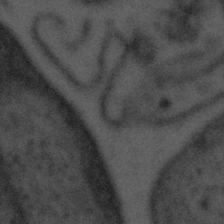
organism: Tuwongella immobilis